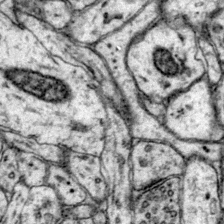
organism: Mouse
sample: Primary visual cortex